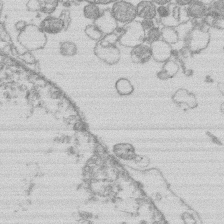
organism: Human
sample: Macrophage cells